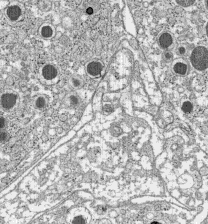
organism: C57BL Mouse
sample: Pancreatic islet